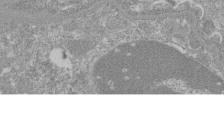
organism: Mouse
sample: Glomerulus